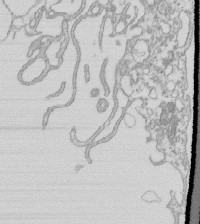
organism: Mouse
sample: Macrophages